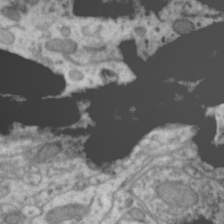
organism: Zebra finch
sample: Brain